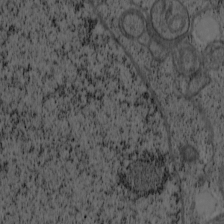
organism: African green monkey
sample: COS-7 cells